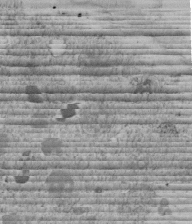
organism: C. elegans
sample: C. elegans embryo early stage